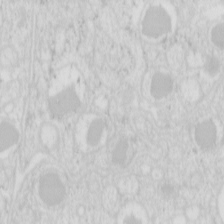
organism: Mouse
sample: Pancreas